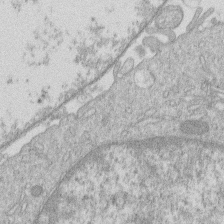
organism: Human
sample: Macrophage cells